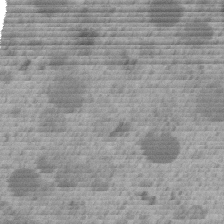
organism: C. elegans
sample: C. elegans embryo early stage